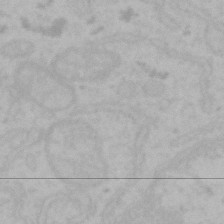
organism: Mouse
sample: Choroid plexus